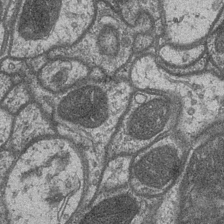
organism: Drosophila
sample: Optic medulla